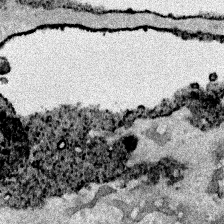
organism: Human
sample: Mitochondria in HCT116 cells